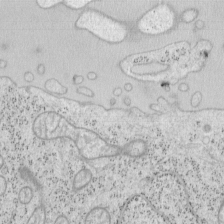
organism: Mouse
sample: OT-I killer T cells with ID8 ovarian cancer cells